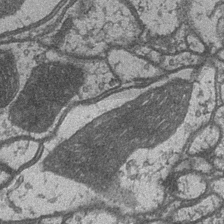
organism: Drosophila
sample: Optic medulla